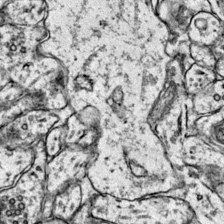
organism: Mouse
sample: Primary visual cortex